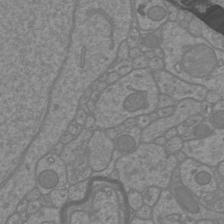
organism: Mouse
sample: Cortical neurons